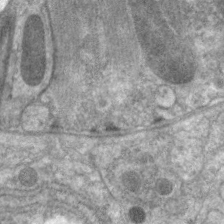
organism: C. elegans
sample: Pharynx